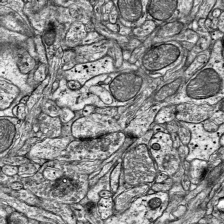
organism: Mouse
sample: Visual Cortex